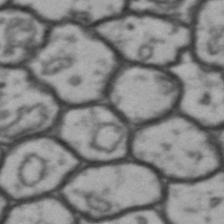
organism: Drosophila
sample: Brain